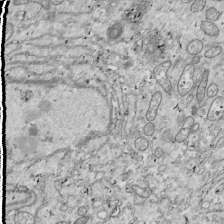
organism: Drosophila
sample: Cell division; meiosis; drosophila spermatocytes